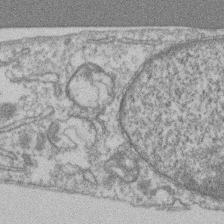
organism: Mouse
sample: T cell stromal cell synapse